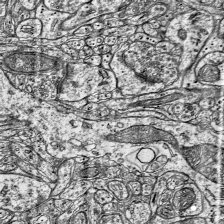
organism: Mouse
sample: Visual Cortex